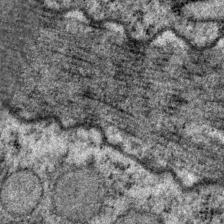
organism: P. pacificus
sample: Pharynx